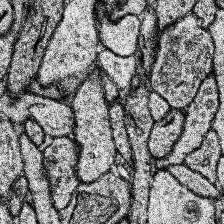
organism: Human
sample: Temporal Lobe